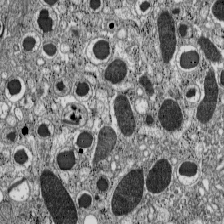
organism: C57BL Mouse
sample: Pancreatic islet